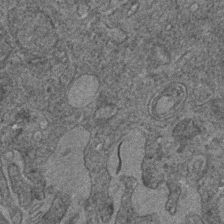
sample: Trachea